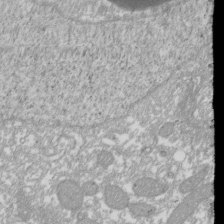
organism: Xenopus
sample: Cilia; centrioles in frog embryo cells